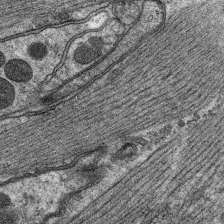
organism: C. elegans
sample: Pharynx